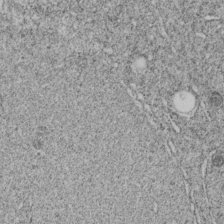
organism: C. elegans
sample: C. elegans embryo early stage